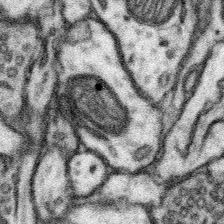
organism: Mouse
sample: Somatosensory cortex neuropil